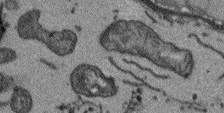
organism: Arabidopsis thaliana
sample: Root tip